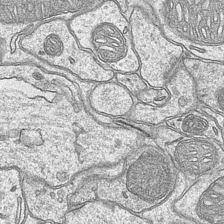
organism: Mouse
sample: CA1 Hippocampus